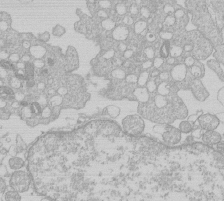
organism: Human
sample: Macrophage cells